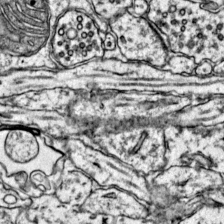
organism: Mouse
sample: Primary visual cortex